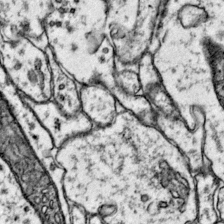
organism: Mouse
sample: Primary visual cortex